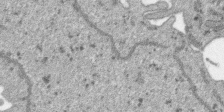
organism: Human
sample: Lung epithelial cells infected with SARS-CoV-2